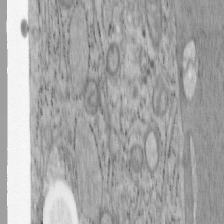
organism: Human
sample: HeLa cells